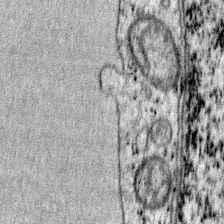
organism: Human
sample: HeLa cells